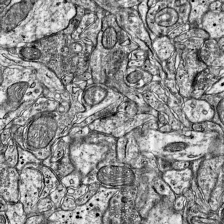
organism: Mouse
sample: Visual Cortex